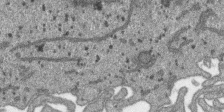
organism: Human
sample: Lung epithelial cells infected with SARS-CoV-2